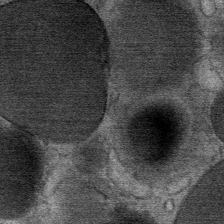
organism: Mouse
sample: Mouse Salivary gland